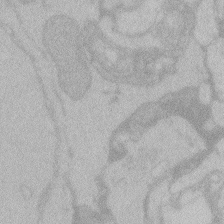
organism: Zebrafish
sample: Macrophage infected with Toxoplasma gondii